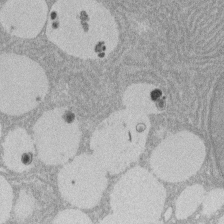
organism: Rat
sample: Salivary granule